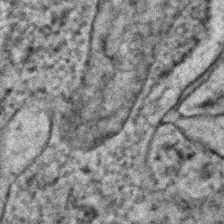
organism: C. elegans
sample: C. elegans embryo